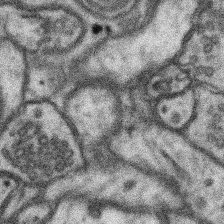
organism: Mouse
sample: Somatosensory cortex neuropil